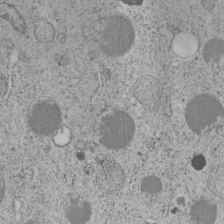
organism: C. elegans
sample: C. elegans embryo early stage